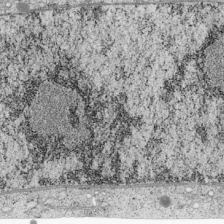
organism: African green monkey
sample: COS-7 cells